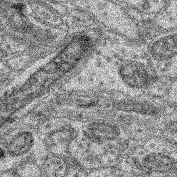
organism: Mouse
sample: Retina